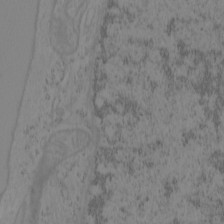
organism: Human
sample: HeLa cells